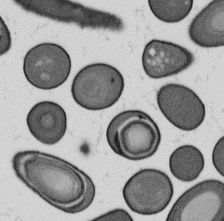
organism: B. subtilis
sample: Bacterial spore